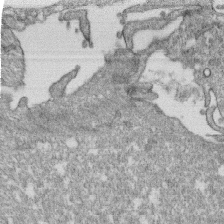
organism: African green monkey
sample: Vero E6 cells infected with SARS-CoV-2